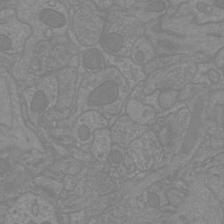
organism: Mouse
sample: Cortical neurons